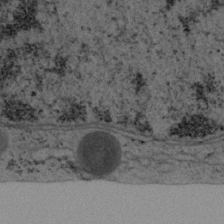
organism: Human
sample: HeLa cells